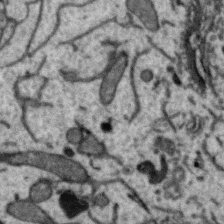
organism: Zebra finch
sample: Brain